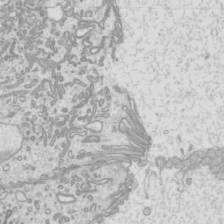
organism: Mouse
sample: Cilia; mouse epididymis